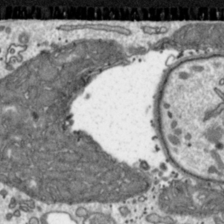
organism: Toxoplasma gondii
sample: Parasites in a vacuole inside a host cell